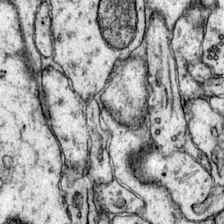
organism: Mouse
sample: Primary visual cortex